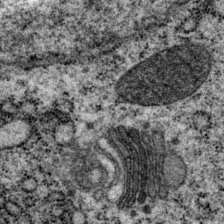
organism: P. pacificus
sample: Pharynx